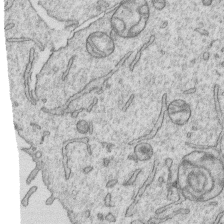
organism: Human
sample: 1205lu cells